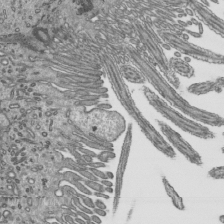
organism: Mouse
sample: Mouse epididymis efferent ductule cilia